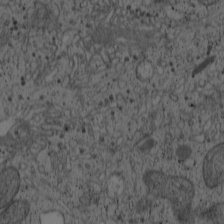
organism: African green monkey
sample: COS-7 cells